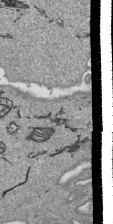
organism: Human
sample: Mitochondria in HCT116 cells